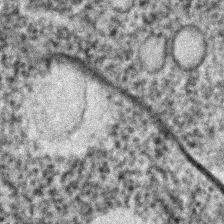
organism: C. elegans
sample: C. elegans embryo